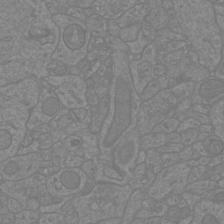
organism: Mouse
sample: Cortical neurons